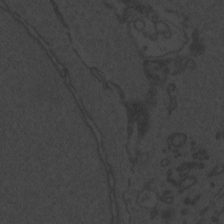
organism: Zebrafish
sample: Macrophage infected with Toxoplasma gondii